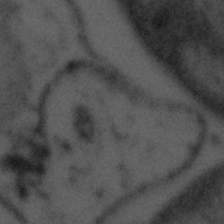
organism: Tuwongella immobilis